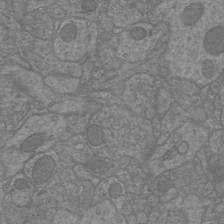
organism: Mouse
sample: Cortical neurons